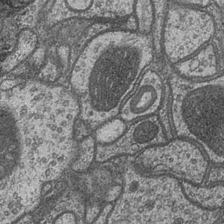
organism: Drosophila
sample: Optic medulla